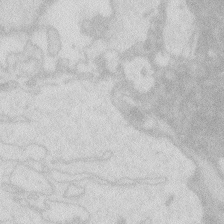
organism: Zebrafish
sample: Macrophage